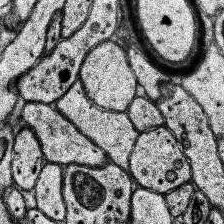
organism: Human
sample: Temporal Lobe